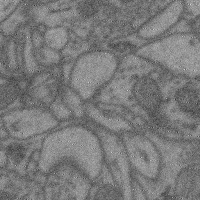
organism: Mouse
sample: Cerebral cortex